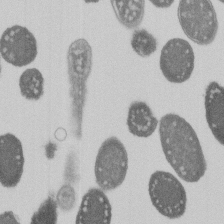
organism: E. coli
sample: Bacterial nucleoid